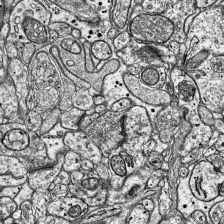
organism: Mouse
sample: Visual Cortex